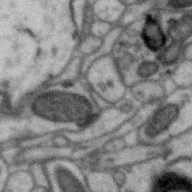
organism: Zebra finch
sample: Brain